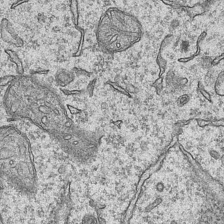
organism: Mouse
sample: CA1 Hippocampus